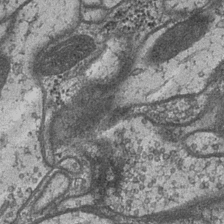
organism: Drosophila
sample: Optic medulla